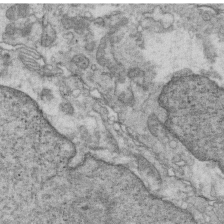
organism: Mouse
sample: Multiciliated cells